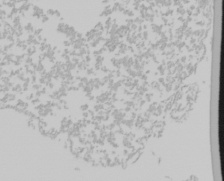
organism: Mouse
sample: Cancer cell death in ED-1 cells